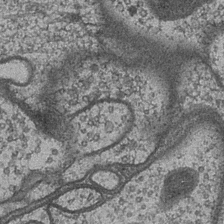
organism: Drosophila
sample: Optic medulla